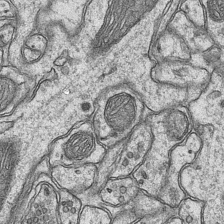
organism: Mouse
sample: CA1 Hippocampus